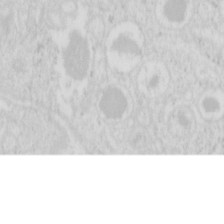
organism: Mouse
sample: Pancreas